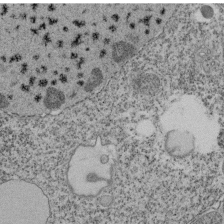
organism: Tetrahymena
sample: Cilia in tetrahymena